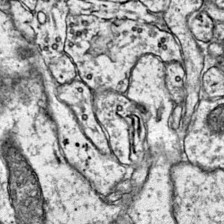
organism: Mouse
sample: Primary visual cortex